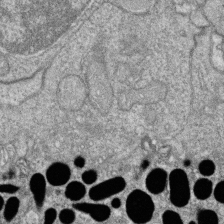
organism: Zebrafish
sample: Cilia; retinal pigment epithelium